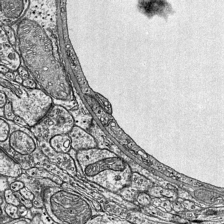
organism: Mouse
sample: Visual Cortex